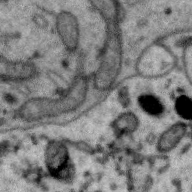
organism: Zebra finch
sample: Brain